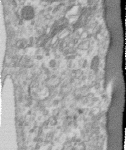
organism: Human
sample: Centriole in RPE cells